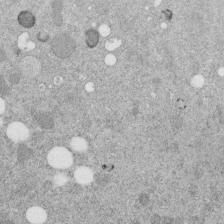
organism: C. elegans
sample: C. elegans embryo early stage